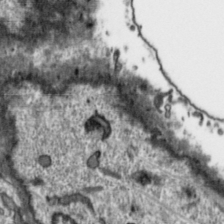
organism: Toxoplasma gondii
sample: Parasites in a vacuole inside a host cell